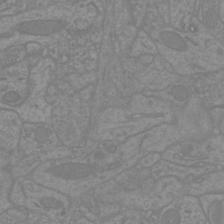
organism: Mouse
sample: Cortical neurons